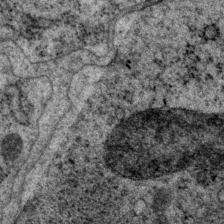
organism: P. pacificus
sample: Pharynx